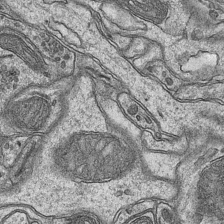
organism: Mouse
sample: CA1 Hippocampus